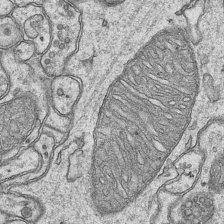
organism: Mouse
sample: CA1 Hippocampus